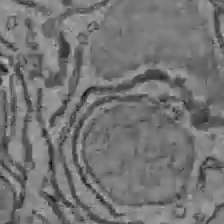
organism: C57BL Mouse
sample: Liver